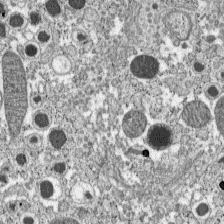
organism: C57BL Mouse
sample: Pancreatic islet